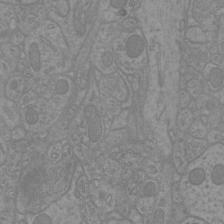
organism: Mouse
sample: Cortical neurons